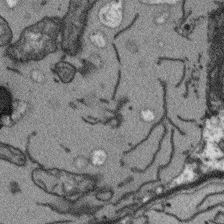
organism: Arabidopsis thaliana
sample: Root tip